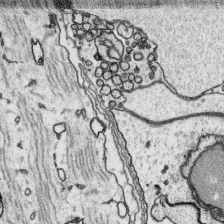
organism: Platynereis dumerilii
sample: Parapodia